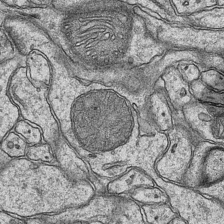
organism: Mouse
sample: CA1 Hippocampus